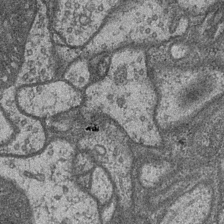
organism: Drosophila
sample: Optic medulla